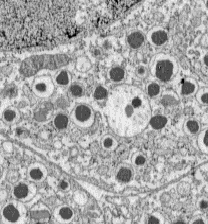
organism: C57BL Mouse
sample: Pancreatic islet